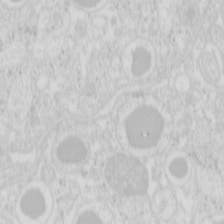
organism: Mouse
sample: Pancreas